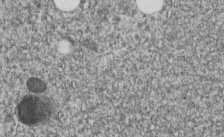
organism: C. elegans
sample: C. elegans embryo early stage